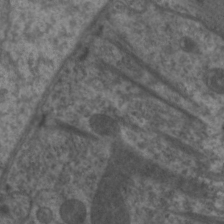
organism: C. elegans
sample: Pharynx